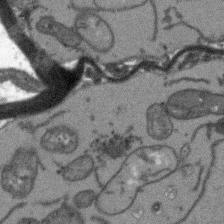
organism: Arabidopsis thaliana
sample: Root tip